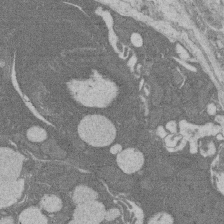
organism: Rat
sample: Salivary granule